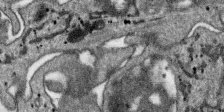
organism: Human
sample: Lung epithelial cells, uninfected (mock) control